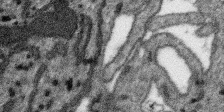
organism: Human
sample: Lung epithelial cells infected with SARS-CoV-2